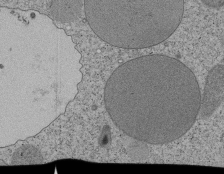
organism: Tetrahymena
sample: Cilia in tetrahymena